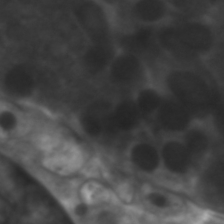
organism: C. elegans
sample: Pharynx